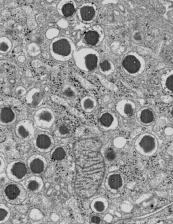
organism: C57BL Mouse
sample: Pancreatic islet